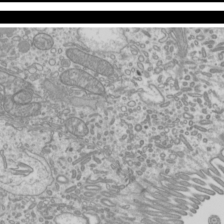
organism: Mouse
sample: Cilia; mouse epididymis